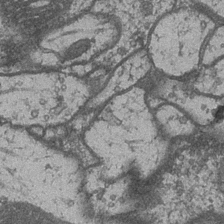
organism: Drosophila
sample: Optic medulla